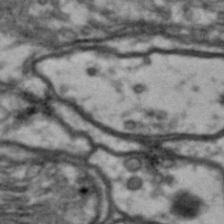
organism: Drosophila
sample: Brain